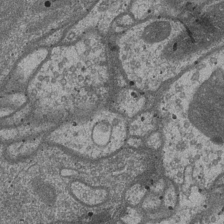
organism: Drosophila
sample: Optic medulla